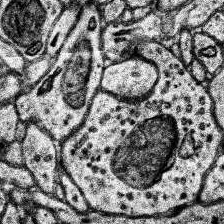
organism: Human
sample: Temporal Lobe